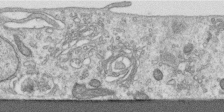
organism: Human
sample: Centriole in RPE cells